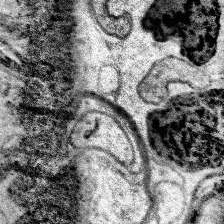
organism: Human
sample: Temporal Lobe